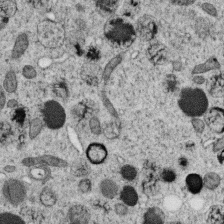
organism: C. elegans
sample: C. elegans oocyte; sperm cells